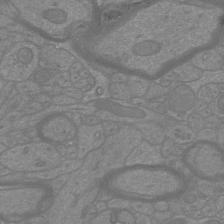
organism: Mouse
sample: Cortical neurons